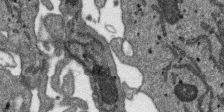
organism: Human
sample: Lung epithelial cells infected with SARS-CoV-2